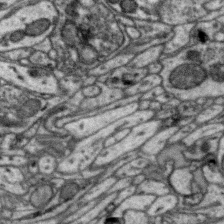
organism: Zebra finch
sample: Brain